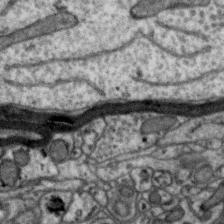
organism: Zebra finch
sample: Brain